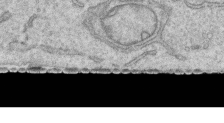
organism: Human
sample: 1205lu cells